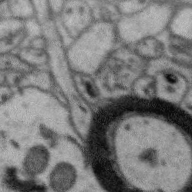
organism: Zebra finch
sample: Brain